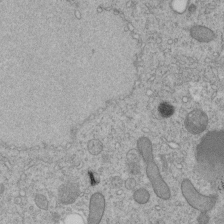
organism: C. elegans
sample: C. elegans embryo early stage